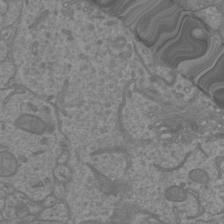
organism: Mouse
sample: Cortical neurons